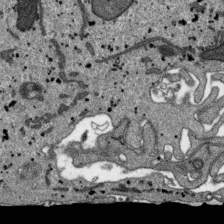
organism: Human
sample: Lung epithelial cells, uninfected (mock) control